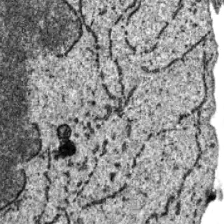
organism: Human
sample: HeLa cells